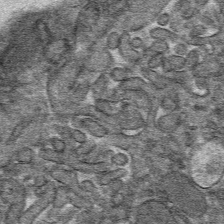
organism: Mouse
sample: Mouse hepatocytes